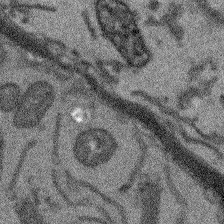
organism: Arabidopsis thaliana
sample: Root tip